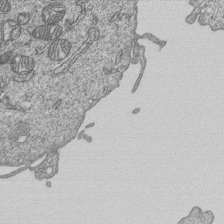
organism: Human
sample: MDA-MB-231 cells